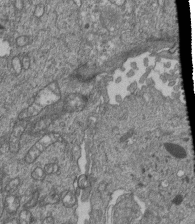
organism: Human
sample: Retinal organoid Rod and Cone cells